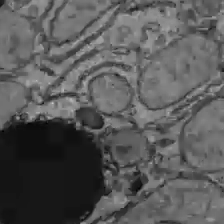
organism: C57BL Mouse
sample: Liver